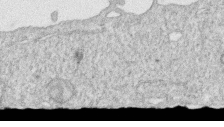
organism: Human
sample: HeLa cell HIV synapse